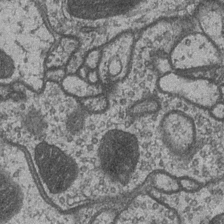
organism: Drosophila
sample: Optic medulla